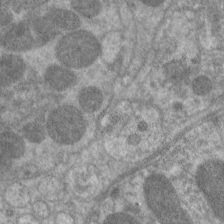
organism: C. elegans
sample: Pharynx